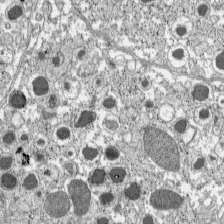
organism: C57BL Mouse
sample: Pancreatic islet